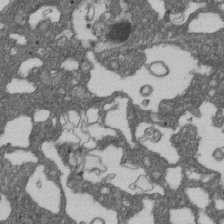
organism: Drosophila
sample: Nephrocyte